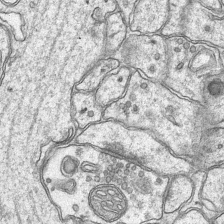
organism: Mouse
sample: CA1 Hippocampus